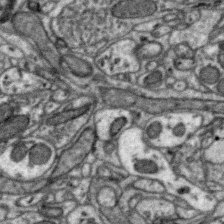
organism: Zebra finch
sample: Brain